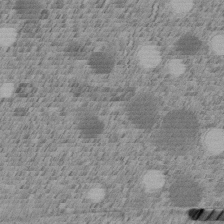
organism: C. elegans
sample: C. elegans embryo early stage